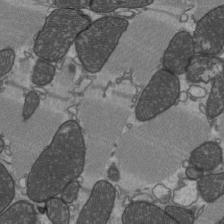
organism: C57BL Mouse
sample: Heart